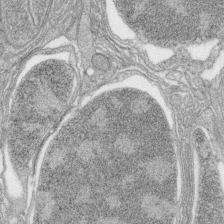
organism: Zebrafish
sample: synaptic ribbons in rod cells and cone cells